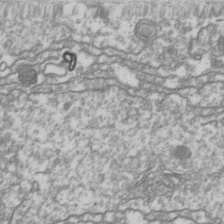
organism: Drosophila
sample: Cell division; meiosis; drosophila spermatocytes